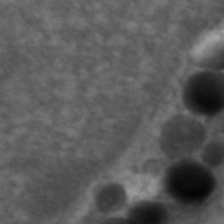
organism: Zebrafish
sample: Zebrafish embryo